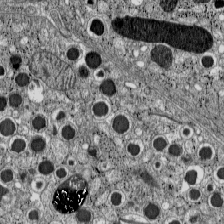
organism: C57BL Mouse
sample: Pancreatic islet